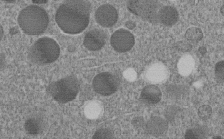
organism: C. elegans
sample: C. elegans embryo early stage